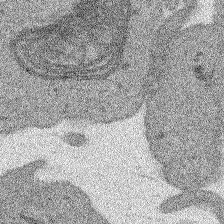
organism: Human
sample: HeLa cells